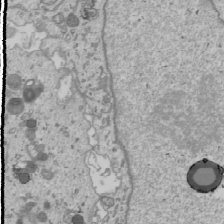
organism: Human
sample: Mitochondria in U2OS cells